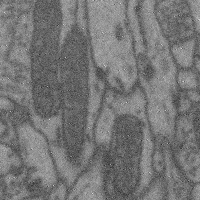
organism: Mouse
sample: Cerebral cortex